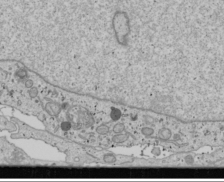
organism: Human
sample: Mitochondria in U2OS cells